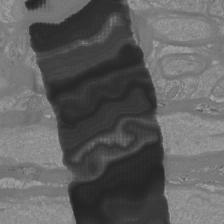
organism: Mouse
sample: Cortical neurons